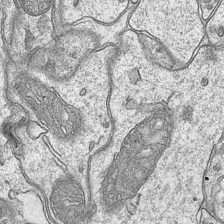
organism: Mouse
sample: CA1 Hippocampus